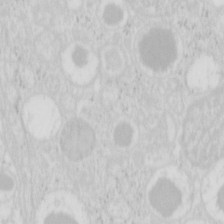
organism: Mouse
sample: Pancreas